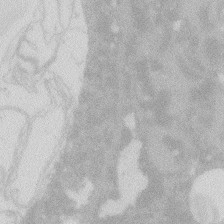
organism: Zebrafish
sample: Macrophage